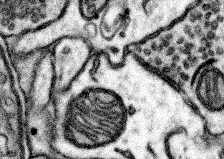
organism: Mouse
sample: Somatosensory cortex neuropil